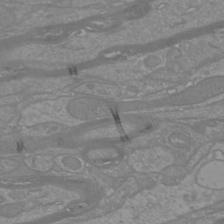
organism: Mouse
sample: Cortical neurons